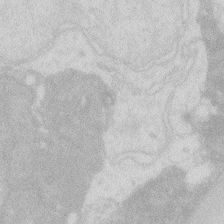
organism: Zebrafish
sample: Macrophage